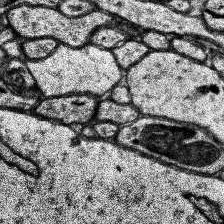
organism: Human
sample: Temporal Lobe